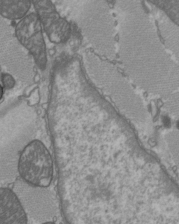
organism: C57BL Mouse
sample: Heart